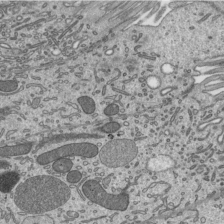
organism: Mouse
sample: Mouse epididymis efferent ductule cilia